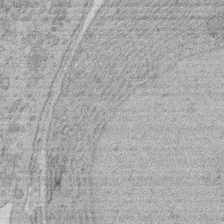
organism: Rat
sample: Salivary granule